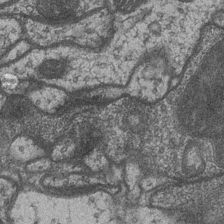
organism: Drosophila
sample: Optic medulla